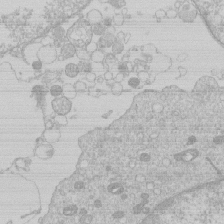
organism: Human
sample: Macrophage cells